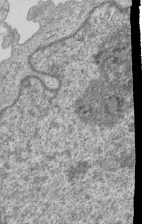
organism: Human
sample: MDA-MB-231 cells